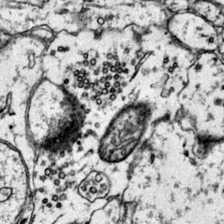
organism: Mouse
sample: Primary visual cortex